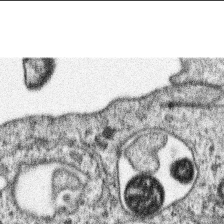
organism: Human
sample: HeLa cells